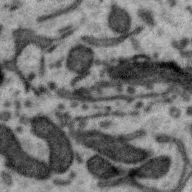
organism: Zebra finch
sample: Brain